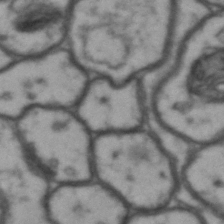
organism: Drosophila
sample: Brain